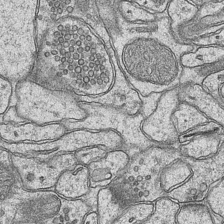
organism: Mouse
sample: CA1 Hippocampus